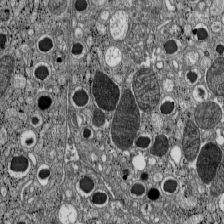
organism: C57BL Mouse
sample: Pancreatic islet